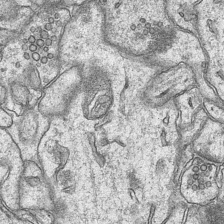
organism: Mouse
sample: CA1 Hippocampus